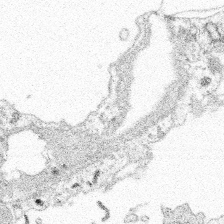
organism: Spongilla lacustris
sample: Multiple